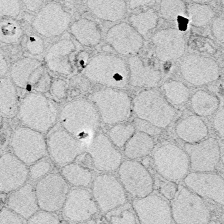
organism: Zebrafish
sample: Whole-Brain